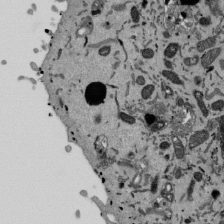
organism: Mouse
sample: ED-1 cell nuclei; centrioles